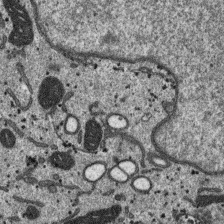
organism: Human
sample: Lung epithelial cells infected with SARS-CoV-2